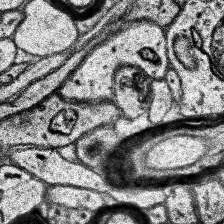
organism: Human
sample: Temporal Lobe